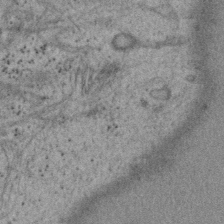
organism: Human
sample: HeLa cells